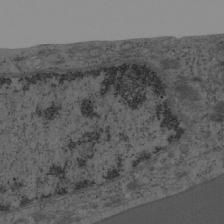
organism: Human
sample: HeLa cells